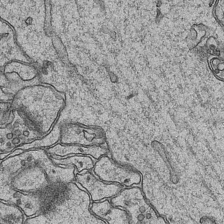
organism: Mouse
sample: CA1 Hippocampus